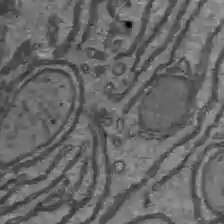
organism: C57BL Mouse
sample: Liver